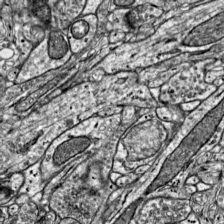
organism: Mouse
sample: Visual Cortex